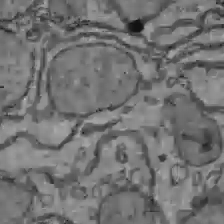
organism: C57BL Mouse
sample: Liver